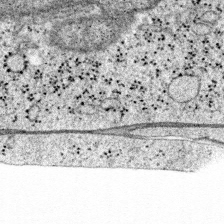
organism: Human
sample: HeLa cells